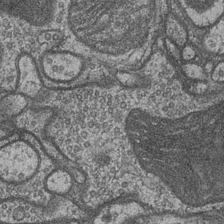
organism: Drosophila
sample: Optic medulla